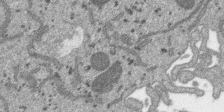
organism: Human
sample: Lung epithelial cells infected with SARS-CoV-2